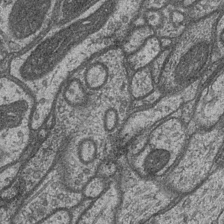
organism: Drosophila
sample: Optic medulla